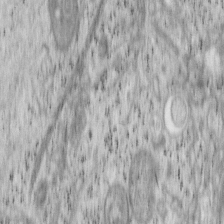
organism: Human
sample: HeLa cells